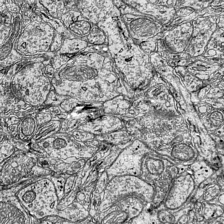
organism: Mouse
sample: Visual Cortex